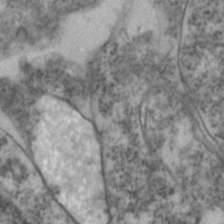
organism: Zebrafish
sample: Zebrafish embryo